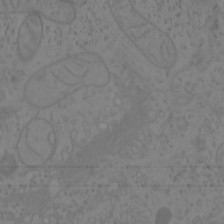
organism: Human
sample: HeLa cells